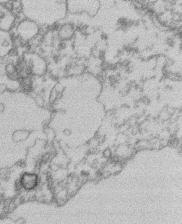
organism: Mouse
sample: T cell stromal cell synapse